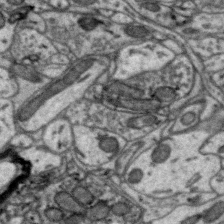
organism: Zebra finch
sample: Brain